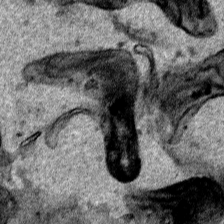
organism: Human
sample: Mitochondria in HCT116 cells